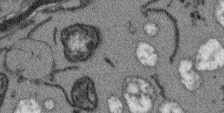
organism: Arabidopsis thaliana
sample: Root tip